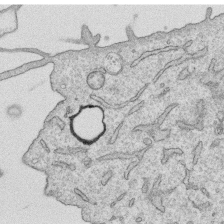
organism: Human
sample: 1205lu cells